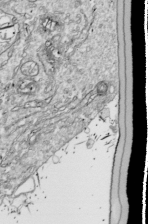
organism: Drosophila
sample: Cell division; meiosis; drosophila spermatocytes